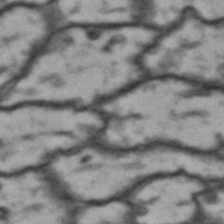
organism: Drosophila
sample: Brain